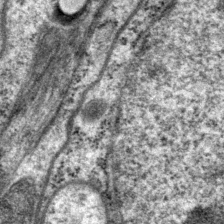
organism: P. pacificus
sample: Pharynx